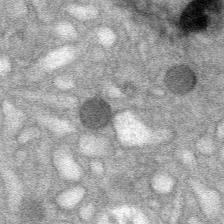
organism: Mouse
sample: Mouse Salivary gland